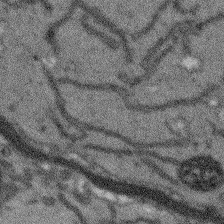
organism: Arabidopsis thaliana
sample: Root tip